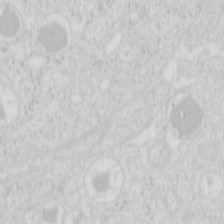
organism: Mouse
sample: Pancreas